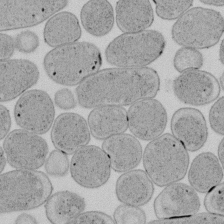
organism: E. coli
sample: Bacterial nucleoid